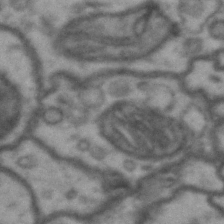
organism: Drosophila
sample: Brain